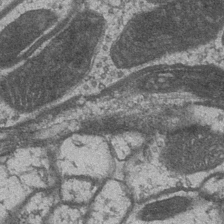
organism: Drosophila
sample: Optic medulla